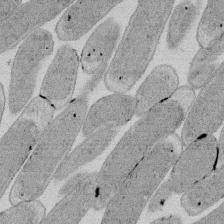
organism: E. coli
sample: Bacterial nucleoid